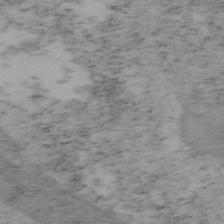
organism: Mouse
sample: OT-I killer T cells with ID8 ovarian cancer cells